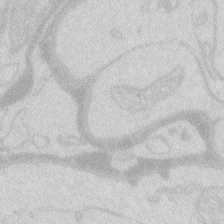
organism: Zebrafish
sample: Macrophage